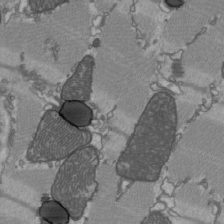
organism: C57BL Mouse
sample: Heart